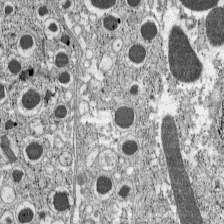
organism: C57BL Mouse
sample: Pancreatic islet